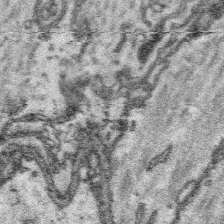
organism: Platynereis dumerilii